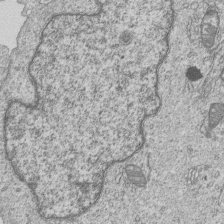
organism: Human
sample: MDA-MB-231 cells